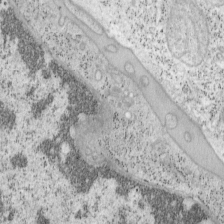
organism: Mouse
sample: OT-I killer T cells with ID8 ovarian cancer cells